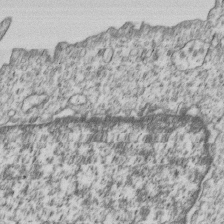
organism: Human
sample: MDA-MB-231 cells